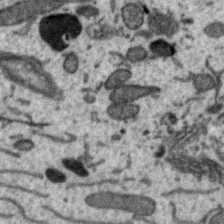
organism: Zebra finch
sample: Brain